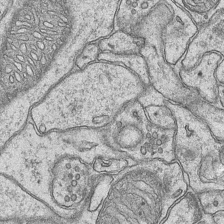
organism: Mouse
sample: CA1 Hippocampus